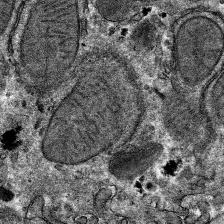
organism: Mouse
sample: Mouse hepatocytes